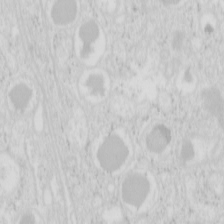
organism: Mouse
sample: Pancreas